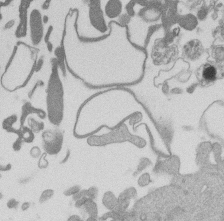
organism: Mouse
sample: Dividing mouse embryo 1 cell stage